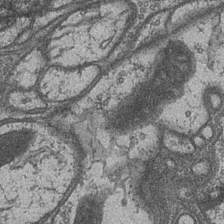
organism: Drosophila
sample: Optic medulla